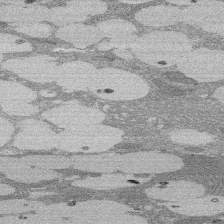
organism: Rat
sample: Salivary granule